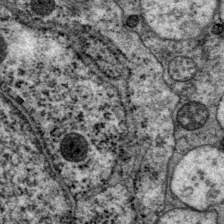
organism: P. pacificus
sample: Pharynx